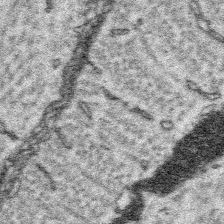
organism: Platynereis dumerilii